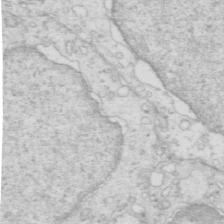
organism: Mouse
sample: Multiciliated cells